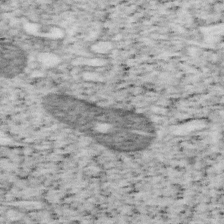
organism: Mouse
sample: OT-I killer T cells with ID8 ovarian cancer cells